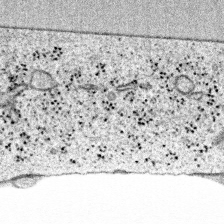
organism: Human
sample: HeLa cells